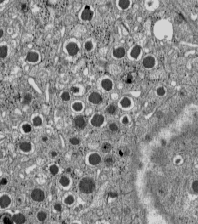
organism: C57BL Mouse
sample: Pancreatic islet